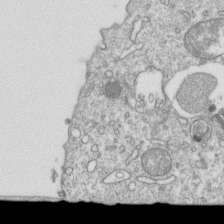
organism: Mouse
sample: Activated OT-1 CD8+ T cells